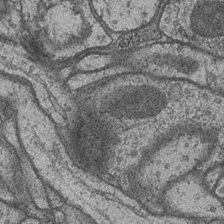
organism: Drosophila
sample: Optic medulla